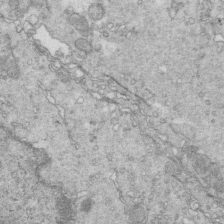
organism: Mouse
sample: Multiciliated cells